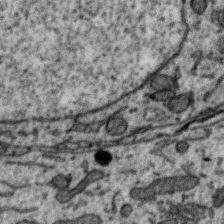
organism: Zebra finch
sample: Brain